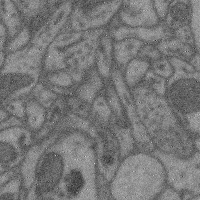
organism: Mouse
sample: Cerebral cortex